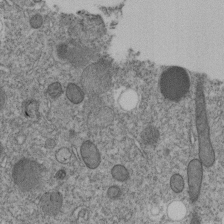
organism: C. elegans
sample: C. elegans embryo early stage